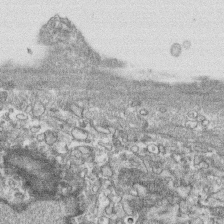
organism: Human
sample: CRL-1474